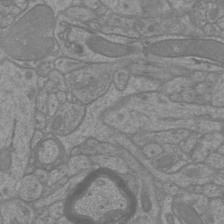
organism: Mouse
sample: Cortical neurons